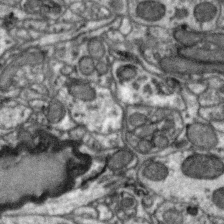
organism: Zebra finch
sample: Brain